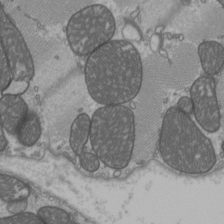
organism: C57BL Mouse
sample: Heart